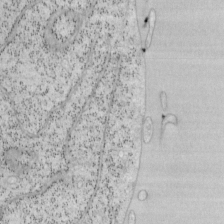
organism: Mouse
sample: OT-I killer T cells with ID8 ovarian cancer cells